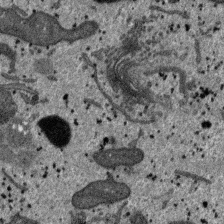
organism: Human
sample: Lung epithelial cells, uninfected (mock) control